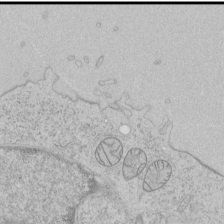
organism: Human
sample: Mitochondria in HCT116 cells